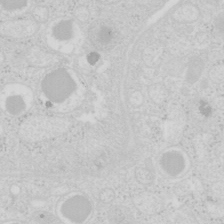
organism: Mouse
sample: Pancreas